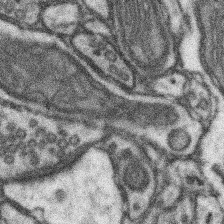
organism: Mouse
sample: Somatosensory cortex neuropil